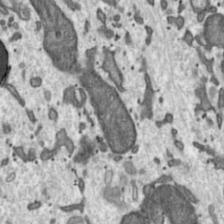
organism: Toxoplasma gondii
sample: Parasites in a vacuole inside a host cell